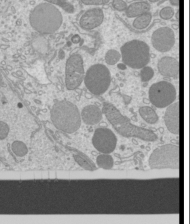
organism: Mouse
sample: Cilia; mouse epididymis